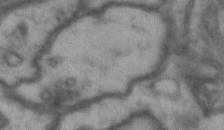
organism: Drosophila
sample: Brain